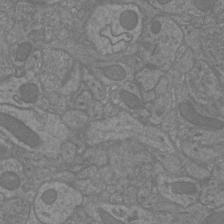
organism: Mouse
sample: Cortical neurons